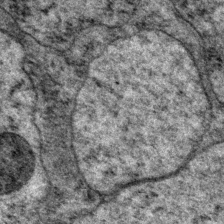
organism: P. pacificus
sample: Pharynx